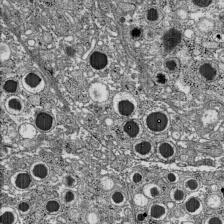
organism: C57BL Mouse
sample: Pancreatic islet